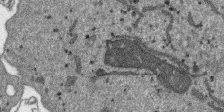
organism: Human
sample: Lung epithelial cells infected with SARS-CoV-2